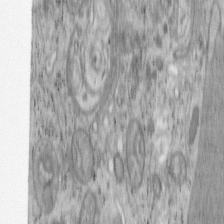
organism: Human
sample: HeLa cells